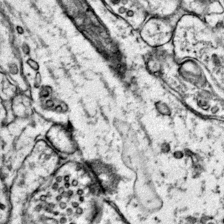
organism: Mouse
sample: Primary visual cortex